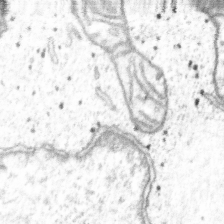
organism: Human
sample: HeLa cells